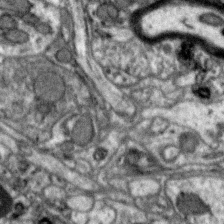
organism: Zebra finch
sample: Brain